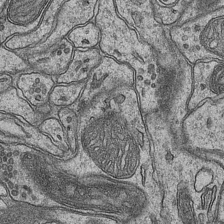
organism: Mouse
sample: CA1 Hippocampus